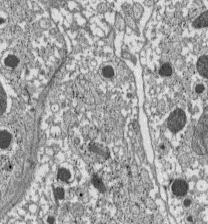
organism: C57BL Mouse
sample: Pancreatic islet